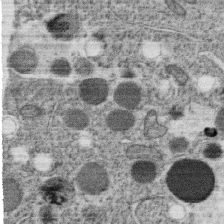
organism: C. elegans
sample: C. elegans oocyte; sperm cells